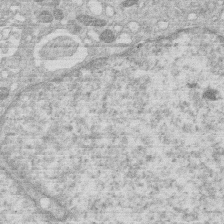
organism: Human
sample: Macrophage cells